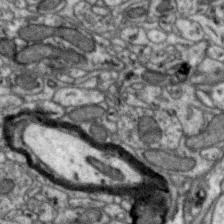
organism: Zebra finch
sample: Brain